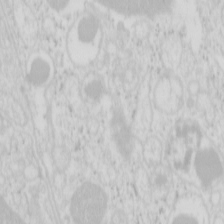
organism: Mouse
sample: Pancreas